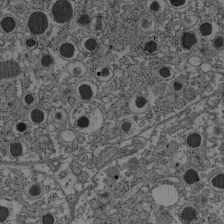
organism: C57BL Mouse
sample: Pancreatic islet